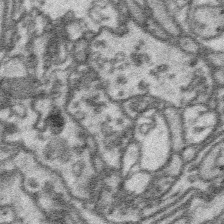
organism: Platynereis dumerilii